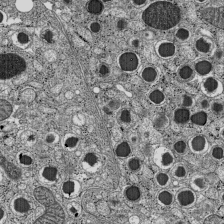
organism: C57BL Mouse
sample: Pancreatic islet